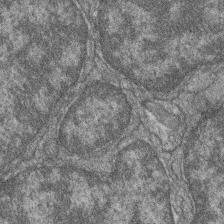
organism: Zebrafish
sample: Cilia; retinal pigment epithelium